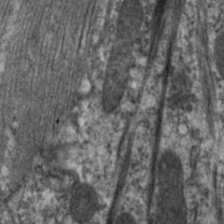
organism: C. elegans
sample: Pharynx